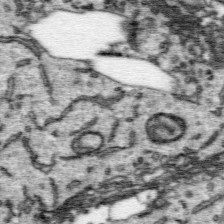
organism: Human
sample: HeLa cells